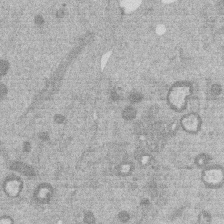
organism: Mouse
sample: Dividing mouse embryo 1 cell stage